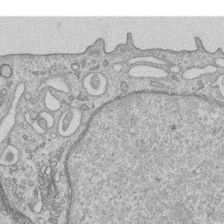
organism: Human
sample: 1205lu cells